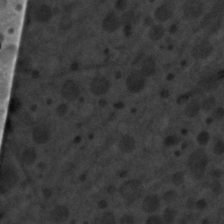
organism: C. elegans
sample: C. elegans embryo